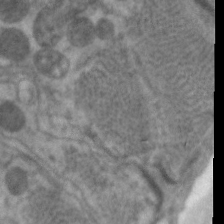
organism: C. elegans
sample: Pharynx